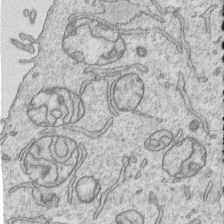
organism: Human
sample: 1205lu cells